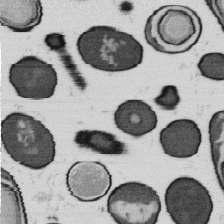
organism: B. subtilis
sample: Bacterial spore